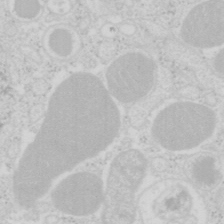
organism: Mouse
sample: Pancreas